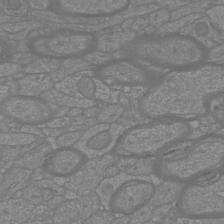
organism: Mouse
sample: Cortical neurons